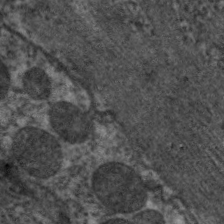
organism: C. elegans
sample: Pharynx